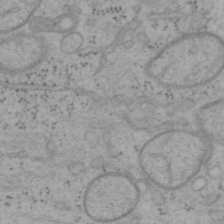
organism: Human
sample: HeLa cells